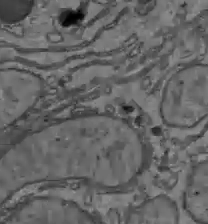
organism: C57BL Mouse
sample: Liver